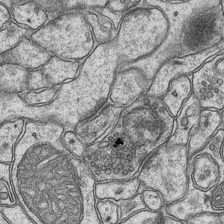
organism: Mouse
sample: CA1 Hippocampus